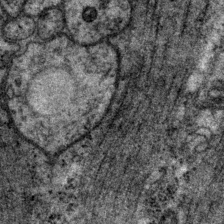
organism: P. pacificus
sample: Pharynx